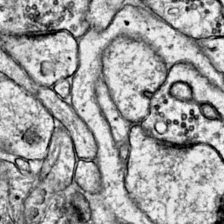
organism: Mouse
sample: Primary visual cortex